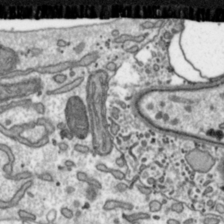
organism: Toxoplasma gondii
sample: Parasites in a vacuole inside a host cell